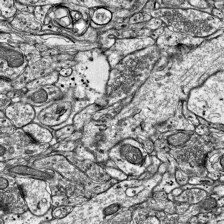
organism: Mouse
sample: Visual Cortex